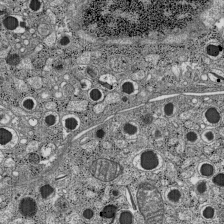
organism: C57BL Mouse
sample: Pancreatic islet